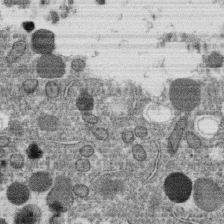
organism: C. elegans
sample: C. elegans oocyte; sperm cells